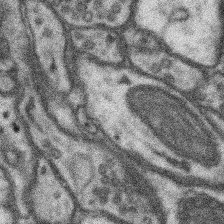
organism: Mouse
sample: Somatosensory cortex neuropil